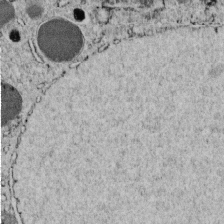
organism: C. elegans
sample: C. elegans embryo early stage